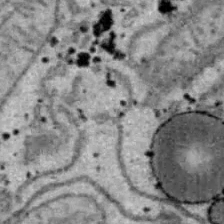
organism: Mouse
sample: Liver from an obese (ob/ob) mouse